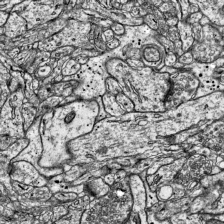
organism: Mouse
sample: Visual Cortex